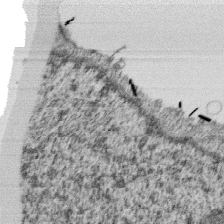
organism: African green monkey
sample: Vero E6 cells infected with SARS-CoV-2